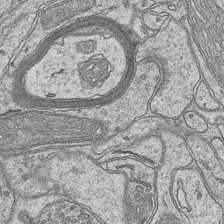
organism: Mouse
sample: CA1 Hippocampus